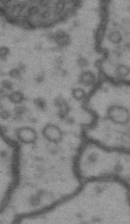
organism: Drosophila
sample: Brain